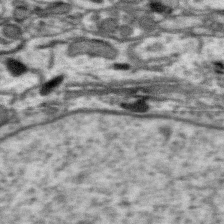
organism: Zebra finch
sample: Brain